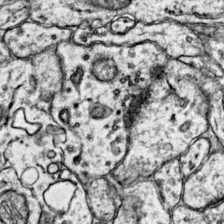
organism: Mouse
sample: Primary visual cortex